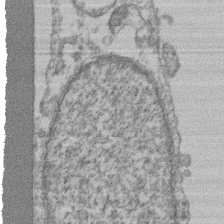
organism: Mouse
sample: T cell stromal cell synapse